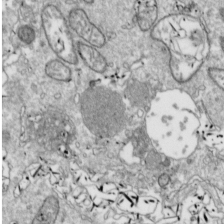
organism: Drosophila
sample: Cell division; meiosis; drosophila spermatocytes